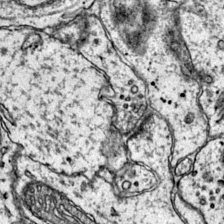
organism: Mouse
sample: Primary visual cortex